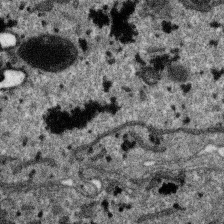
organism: Human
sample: Lung epithelial cells infected with SARS-CoV-2